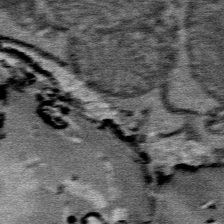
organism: Mouse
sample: Mouse Salivary gland